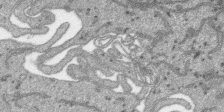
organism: Human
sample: Lung epithelial cells infected with SARS-CoV-2